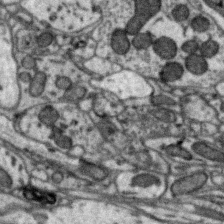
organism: Zebra finch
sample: Brain